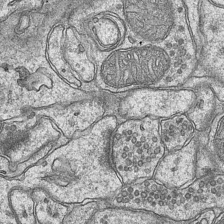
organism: Mouse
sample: CA1 Hippocampus